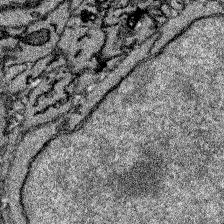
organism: Zebrafish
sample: Larval olfactory bulb